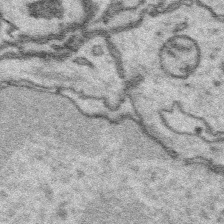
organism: Platynereis dumerilii